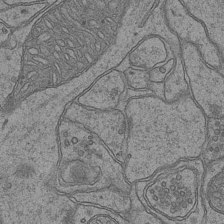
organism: Mouse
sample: CA1 Hippocampus